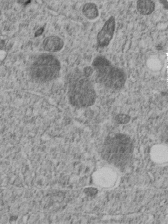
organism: C. elegans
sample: C. elegans embryo early stage